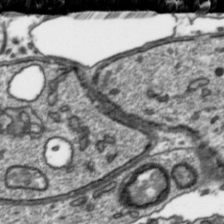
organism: Toxoplasma gondii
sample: Parasites in a vacuole inside a host cell